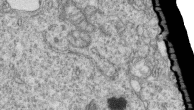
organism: Human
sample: HeLa cell HIV synapse